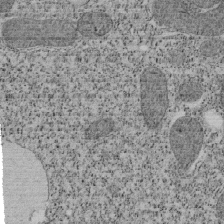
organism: Tetrahymena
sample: Cilia in tetrahymena